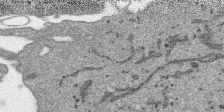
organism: Human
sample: Lung epithelial cells infected with SARS-CoV-2